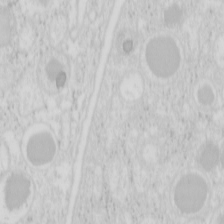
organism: Mouse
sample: Pancreas